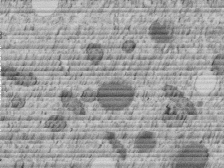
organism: C. elegans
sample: C. elegans embryo early stage